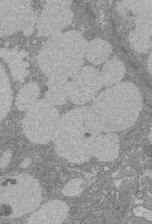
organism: Rat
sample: Salivary granule